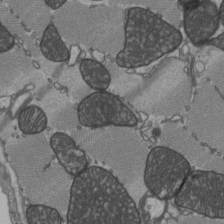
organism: C57BL Mouse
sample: Heart